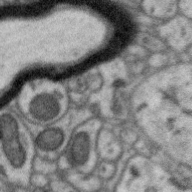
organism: Zebra finch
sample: Brain